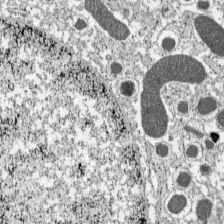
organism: C57BL Mouse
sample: Pancreatic islet